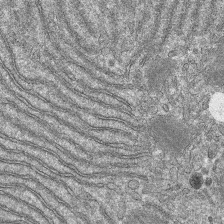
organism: Mouse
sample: Mouse hepatocytes